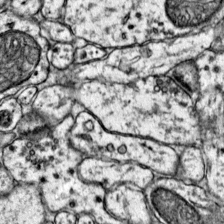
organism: Mouse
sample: Primary visual cortex